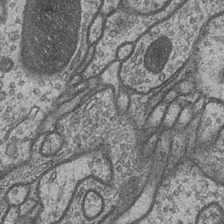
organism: Drosophila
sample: Optic medulla